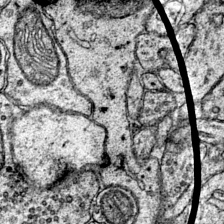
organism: Mouse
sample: Primary visual cortex